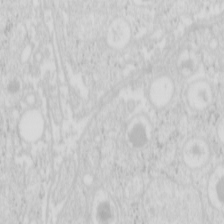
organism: Mouse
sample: Pancreas